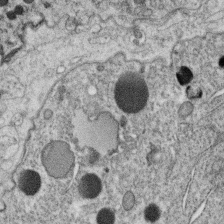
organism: C. elegans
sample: C. elegans oocyte; sperm cells